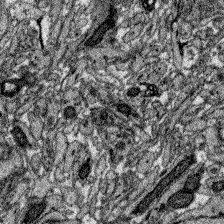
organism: Zebrafish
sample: Larval olfactory bulb